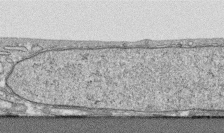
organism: Human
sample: CRL-1474